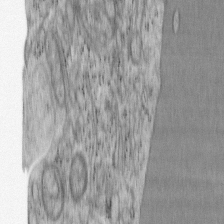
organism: Human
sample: HeLa cells